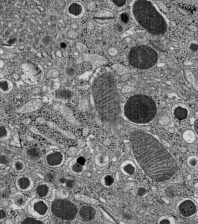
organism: C57BL Mouse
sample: Pancreatic islet